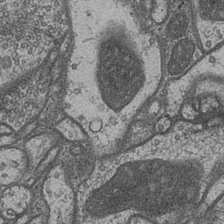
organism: Drosophila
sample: Optic medulla